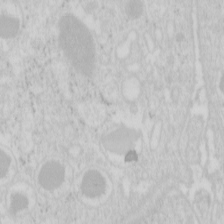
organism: Mouse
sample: Pancreas